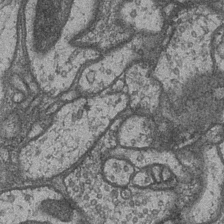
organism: Drosophila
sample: Optic medulla